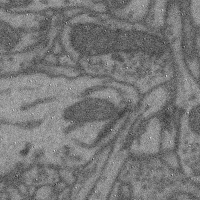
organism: Mouse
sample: Cerebral cortex